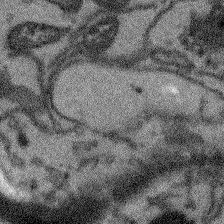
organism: Arabidopsis thaliana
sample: Root tip